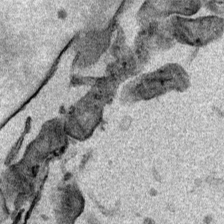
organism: Mouse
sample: Cancer cell death in ED-1 cells